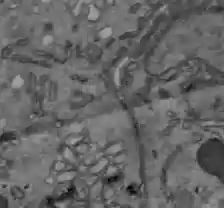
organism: C57BL Mouse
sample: Liver